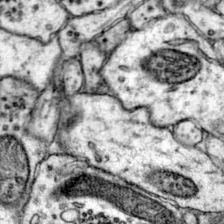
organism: Mouse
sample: Primary visual cortex